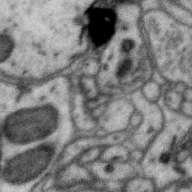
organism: Zebra finch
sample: Brain